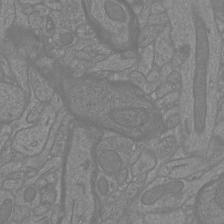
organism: Mouse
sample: Cortical neurons